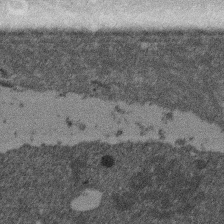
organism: Mouse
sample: Dividing mouse embryo 1 cell stage